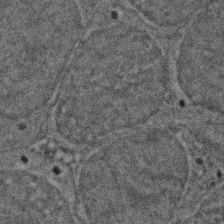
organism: Zebrafish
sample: Zebrafish embryo